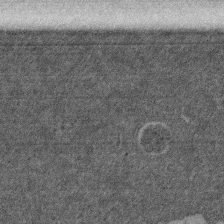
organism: Mouse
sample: Dividing mouse embryo 1 cell stage